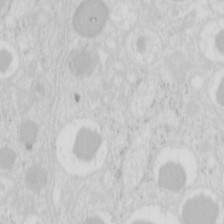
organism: Mouse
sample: Pancreas